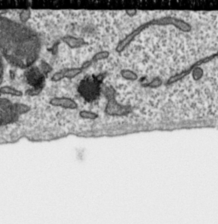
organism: Toxoplasma gondii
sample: Parasites in a vacuole inside a host cell